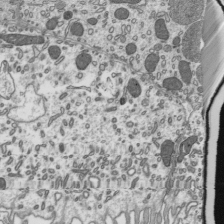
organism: Mouse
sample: Mouse epididymis efferent ductule cilia